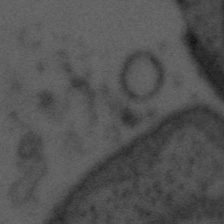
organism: Tuwongella immobilis